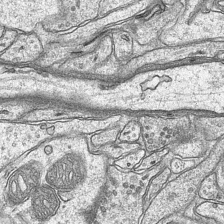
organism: Mouse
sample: CA1 Hippocampus